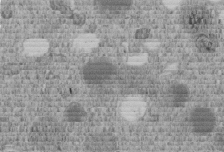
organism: C. elegans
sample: C. elegans embryo early stage